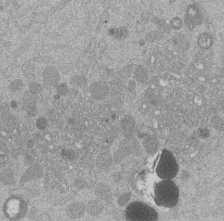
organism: Mouse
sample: Dividing mouse embryo 1 cell stage